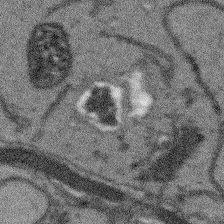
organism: Arabidopsis thaliana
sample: Root tip